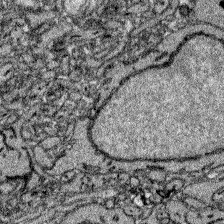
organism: Zebrafish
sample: Larval olfactory bulb